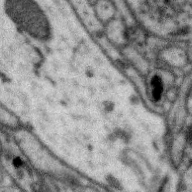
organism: Zebra finch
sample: Brain